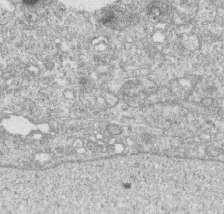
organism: Human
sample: HeLa cell HIV synapse